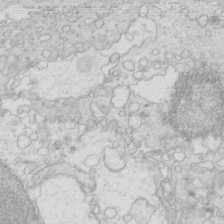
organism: Mouse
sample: Multiciliated cells